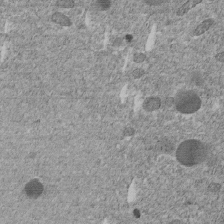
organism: C. elegans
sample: C. elegans embryo early stage